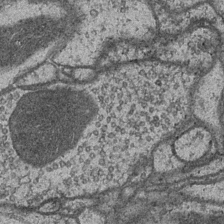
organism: Drosophila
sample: Optic medulla